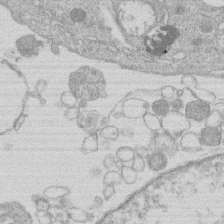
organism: Human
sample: Macrophage cells